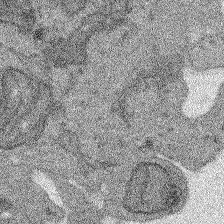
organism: Human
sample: HeLa cells